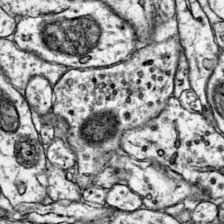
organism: Mouse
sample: Primary visual cortex